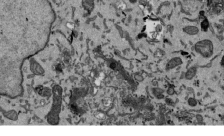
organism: Mouse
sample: ED-1 cell nuclei; centrioles